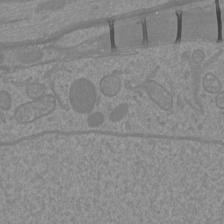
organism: Mouse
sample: Cortical neurons